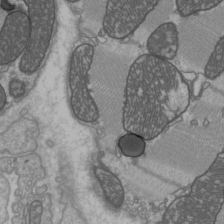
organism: C57BL Mouse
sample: Heart